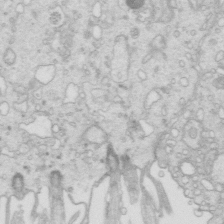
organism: Mouse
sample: Multiciliated cells